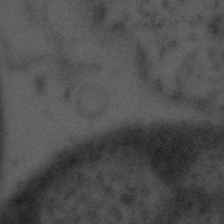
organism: Tuwongella immobilis